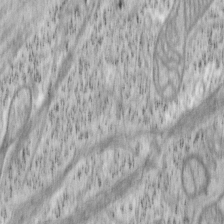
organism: Human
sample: HeLa cells